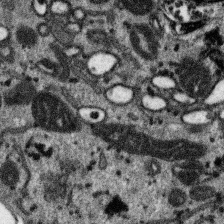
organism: Human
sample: Lung epithelial cells infected with SARS-CoV-2